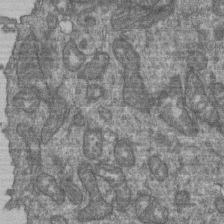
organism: Human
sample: Retinal organoid Rod and Cone cells